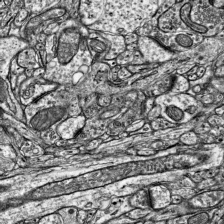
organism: Mouse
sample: Visual Cortex